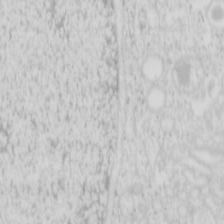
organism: Mouse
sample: Pancreas